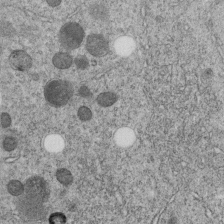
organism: C. elegans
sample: C. elegans embryo early stage